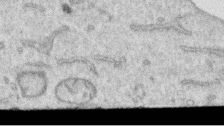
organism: Human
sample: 1205lu cells